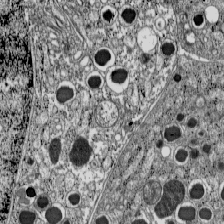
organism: C57BL Mouse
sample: Pancreatic islet